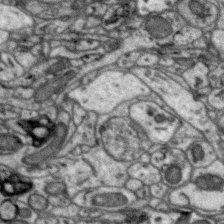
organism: Zebra finch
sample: Brain